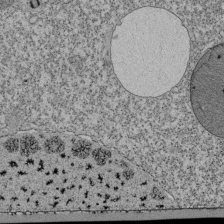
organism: Tetrahymena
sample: Cilia in tetrahymena